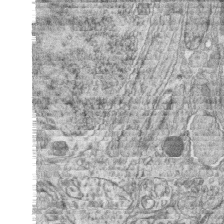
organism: Zebrafish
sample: synaptic ribbons in rod cells and cone cells